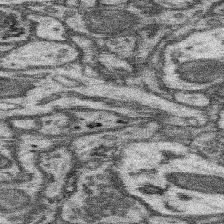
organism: Mouse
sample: Somatosensory cortex neuropil